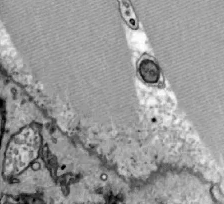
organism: Zebrafish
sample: Actinotrichia fibers